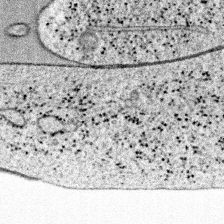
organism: Human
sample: HeLa cells